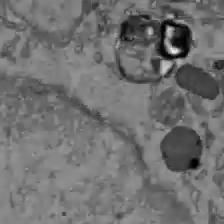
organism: C57BL Mouse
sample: Liver